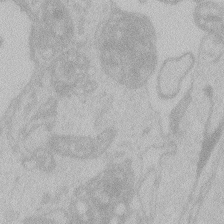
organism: Zebrafish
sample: Macrophage infected with Toxoplasma gondii